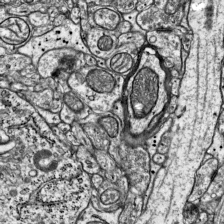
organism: Mouse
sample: Visual Cortex